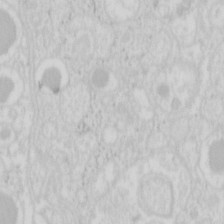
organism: Mouse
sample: Pancreas